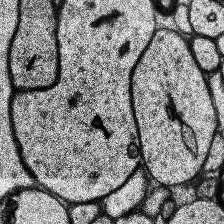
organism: Human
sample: Temporal Lobe